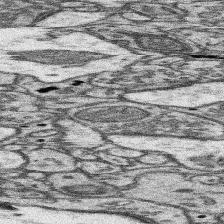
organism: Mouse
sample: Somatosensory cortex neuropil